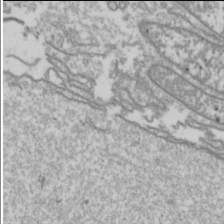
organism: Drosophila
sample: Cell division; meiosis; drosophila spermatocytes